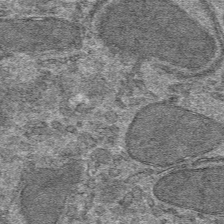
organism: Mouse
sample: Mouse hepatocytes